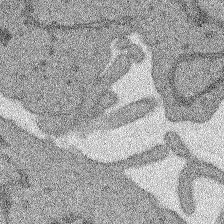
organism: Human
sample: HeLa cells